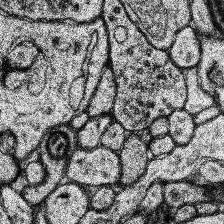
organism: Human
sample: Temporal Lobe